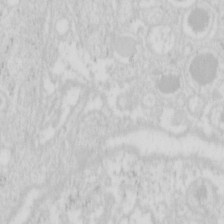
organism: Mouse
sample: Pancreas